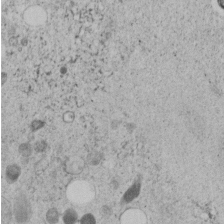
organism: C. elegans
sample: C. elegans embryo early stage